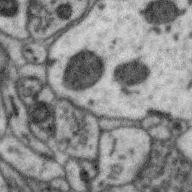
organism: Zebra finch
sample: Brain